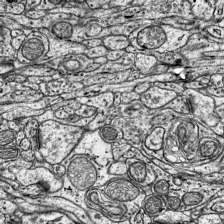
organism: Mouse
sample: Visual Cortex